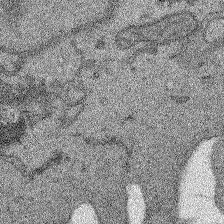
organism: Human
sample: HeLa cells